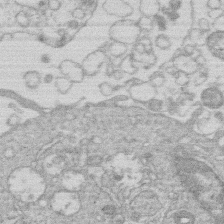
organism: Human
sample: Macrophage cells